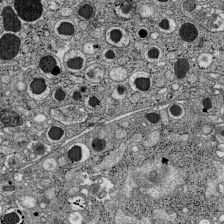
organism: C57BL Mouse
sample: Pancreatic islet